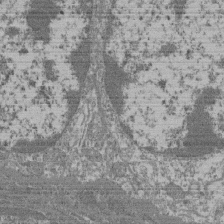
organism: Mouse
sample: Glomerulus